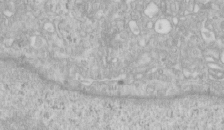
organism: Human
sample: Centriole in RPE cells